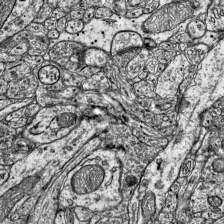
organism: Mouse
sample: Visual Cortex